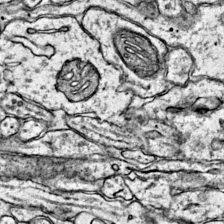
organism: Mouse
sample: Primary visual cortex